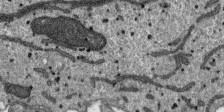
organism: Human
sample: Lung epithelial cells, uninfected (mock) control